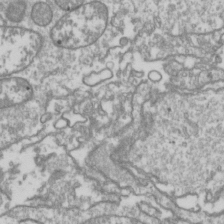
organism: Drosophila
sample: Cell division; meiosis; drosophila spermatocytes